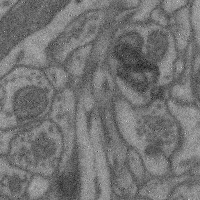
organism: Mouse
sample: Cerebral cortex